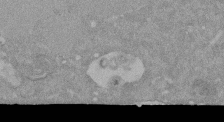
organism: Mouse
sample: ED-1 cell nuclei; centrioles